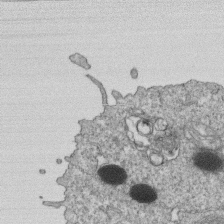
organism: Human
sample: HeLa cell HIV synapse